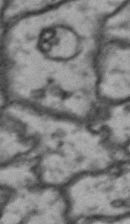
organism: Drosophila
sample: Brain